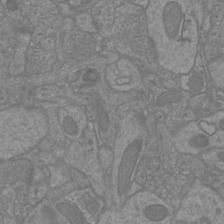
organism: Mouse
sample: Cortical neurons